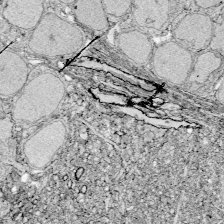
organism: Zebrafish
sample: Whole-Brain